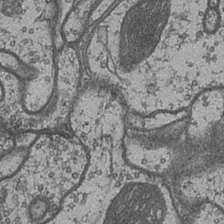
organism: Drosophila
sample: Optic medulla